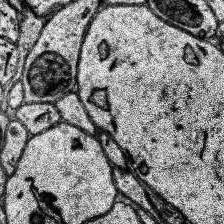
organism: Human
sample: Temporal Lobe